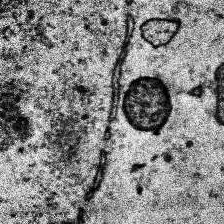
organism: Human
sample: Temporal Lobe